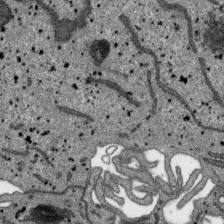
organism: Human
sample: Lung epithelial cells, uninfected (mock) control